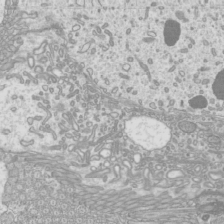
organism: Mouse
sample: Cilia; mouse epididymis